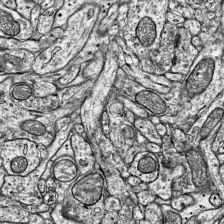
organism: Mouse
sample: Visual Cortex